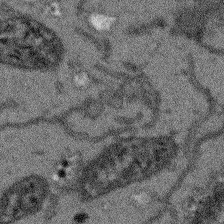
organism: Arabidopsis thaliana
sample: Root tip